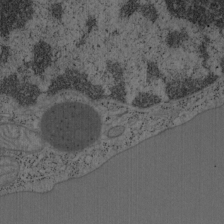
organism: Mouse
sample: OT-I killer T cells with ID8 ovarian cancer cells